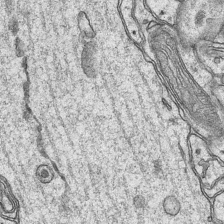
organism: Mouse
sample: CA1 Hippocampus